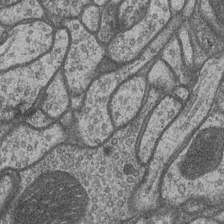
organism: Drosophila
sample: Optic medulla